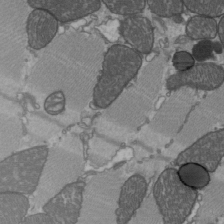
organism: C57BL Mouse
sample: Heart